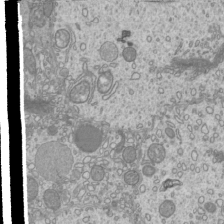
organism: Mouse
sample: Cilia; mouse epididymis